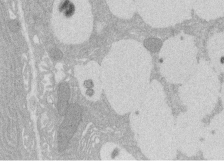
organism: Rat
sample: Salivary granule